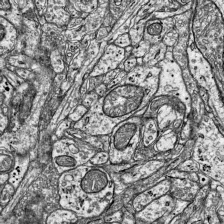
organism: Mouse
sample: Visual Cortex